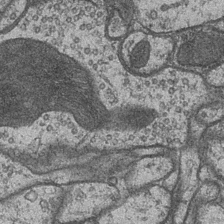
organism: Drosophila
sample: Optic medulla